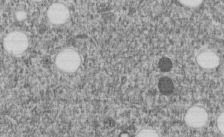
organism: C. elegans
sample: C. elegans embryo early stage